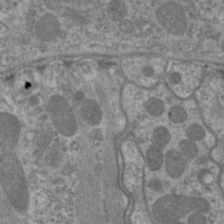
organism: C. elegans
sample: Pharynx